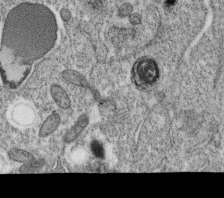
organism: C. elegans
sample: C. elegans oocyte; sperm cells